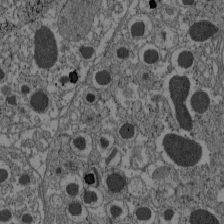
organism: C57BL Mouse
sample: Pancreatic islet